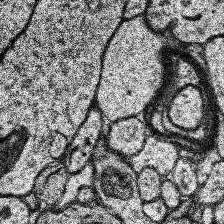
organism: Human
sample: Temporal Lobe